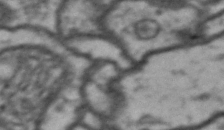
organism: Drosophila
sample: Brain